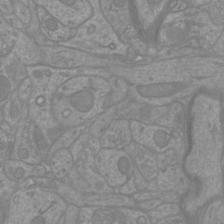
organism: Mouse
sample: Cortical neurons